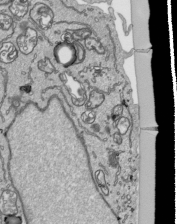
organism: Human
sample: Mitochondria in HCT116 cells